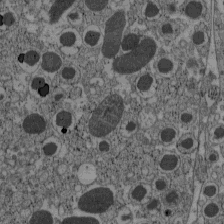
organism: C57BL Mouse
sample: Pancreatic islet